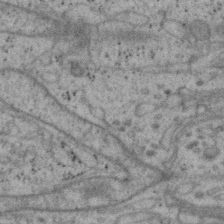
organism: Human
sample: HeLa cells